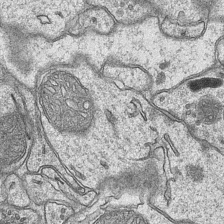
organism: Mouse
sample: CA1 Hippocampus